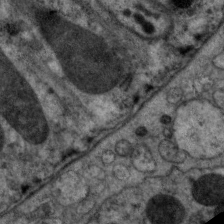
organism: C. elegans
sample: Pharynx